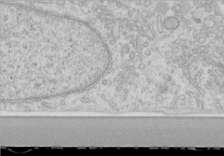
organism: Human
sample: Centriole in RPE cells